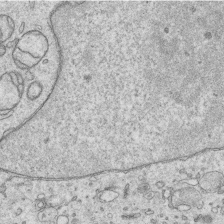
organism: Human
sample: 1205lu cells